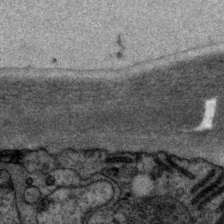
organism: P. pacificus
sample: Pharynx